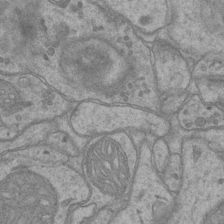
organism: Mouse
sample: CA1 Hippocampus